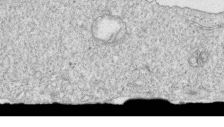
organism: Human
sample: HeLa cell HIV synapse